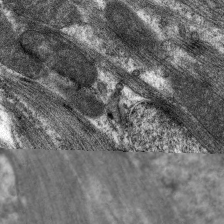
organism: C. elegans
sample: Pharynx